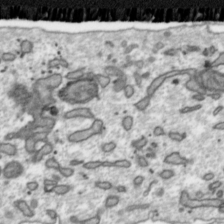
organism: Toxoplasma gondii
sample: Parasites in a vacuole inside a host cell